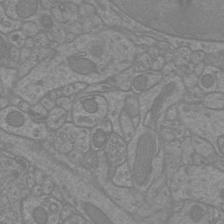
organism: Mouse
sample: Cortical neurons